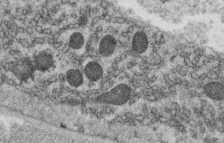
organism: C. elegans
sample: C. elegans oocyte; sperm cells